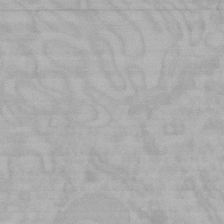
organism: Mouse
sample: Choroid plexus